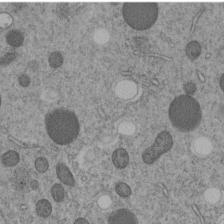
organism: C. elegans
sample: C. elegans embryo early stage